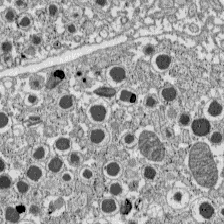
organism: C57BL Mouse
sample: Pancreatic islet